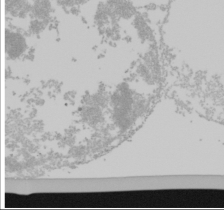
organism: Mouse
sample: Cancer cell death in ED-1 cells